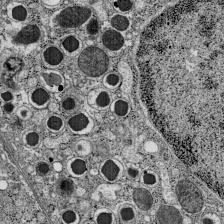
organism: C57BL Mouse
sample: Pancreatic islet